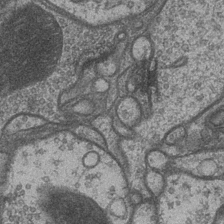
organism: Drosophila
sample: Optic medulla